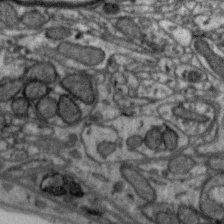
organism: Zebra finch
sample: Brain